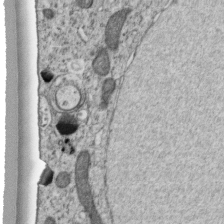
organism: C. elegans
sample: C. elegans embryo early stage